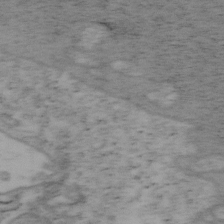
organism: Mouse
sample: OT-I killer T cells with ID8 ovarian cancer cells